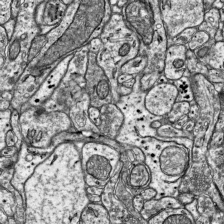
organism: Mouse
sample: Visual Cortex